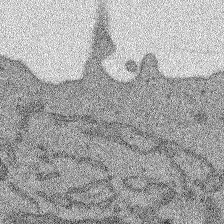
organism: Human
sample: HeLa cells